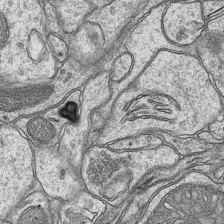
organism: Mouse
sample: CA1 Hippocampus